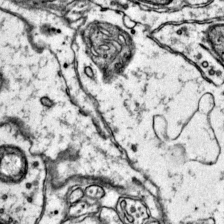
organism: Mouse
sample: Primary visual cortex